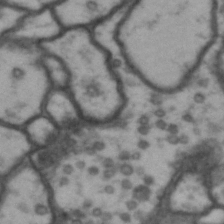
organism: Drosophila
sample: Brain